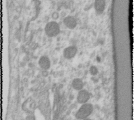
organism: Human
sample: Cilia; basal body in RPE cells